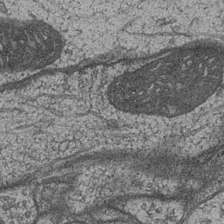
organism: Drosophila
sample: Optic medulla